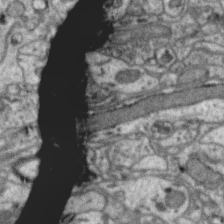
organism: Zebra finch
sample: Brain